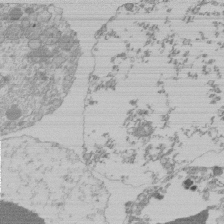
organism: Mouse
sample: Activated Pmel transgenic CD8+ T Cells